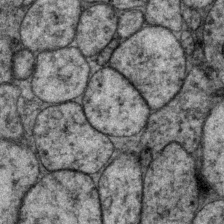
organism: P. pacificus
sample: Pharynx